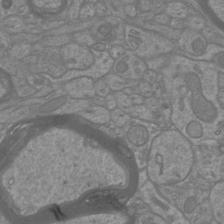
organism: Mouse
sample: Cortical neurons